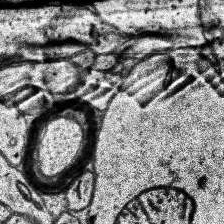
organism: Human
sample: Temporal Lobe